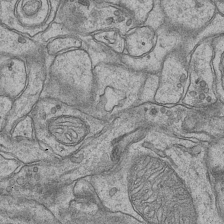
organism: Mouse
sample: CA1 Hippocampus